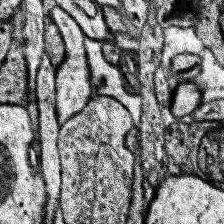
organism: Human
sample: Temporal Lobe